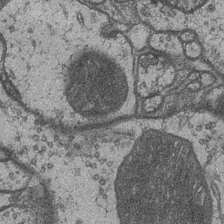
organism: Drosophila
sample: Optic medulla